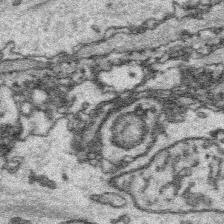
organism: Platynereis dumerilii